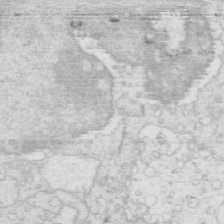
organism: Mouse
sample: Multiciliated cells